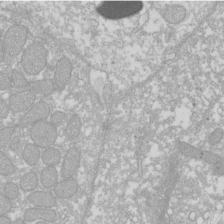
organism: Xenopus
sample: Cilia; centrioles in frog embryo cells